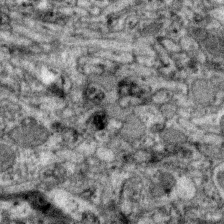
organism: Zebra finch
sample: Brain